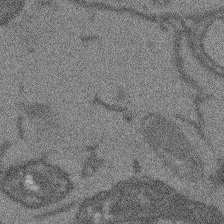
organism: Arabidopsis thaliana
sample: Root tip